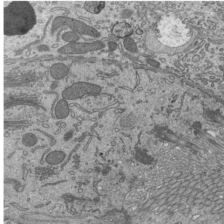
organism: Mouse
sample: Mouse epididymis efferent ductule cilia